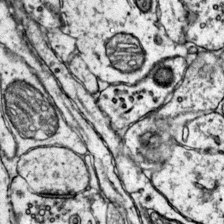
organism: Mouse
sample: Primary visual cortex